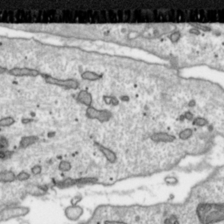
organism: Toxoplasma gondii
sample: Parasites in a vacuole inside a host cell